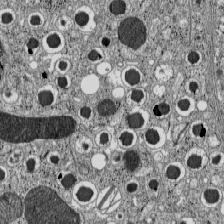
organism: C57BL Mouse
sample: Pancreatic islet